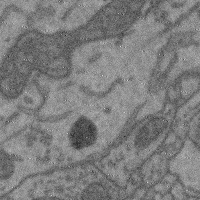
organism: Mouse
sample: Cerebral cortex